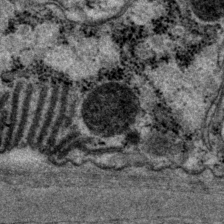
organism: P. pacificus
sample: Pharynx